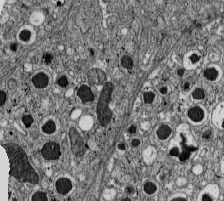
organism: C57BL Mouse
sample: Pancreatic islet